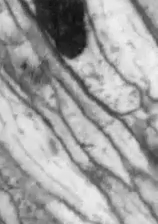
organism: Drosophila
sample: Optic lobe